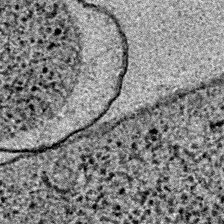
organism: E. coli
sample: E. Coli Bacteria